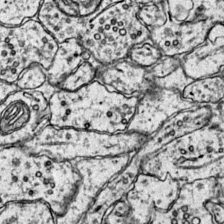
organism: Mouse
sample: Primary visual cortex